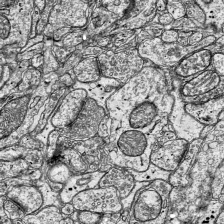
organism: Mouse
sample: Visual Cortex